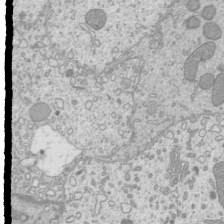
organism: Mouse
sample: Cilia; mouse epididymis